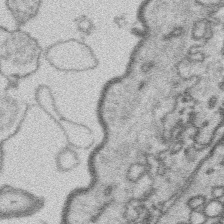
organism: Platynereis dumerilii